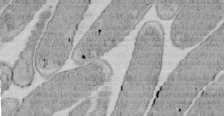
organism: E. coli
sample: Bacterial nucleoid